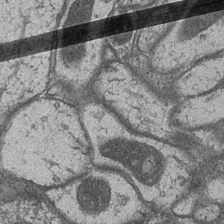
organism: Drosophila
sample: Optic medulla